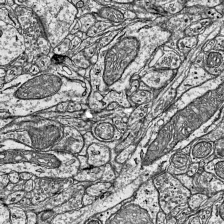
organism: Mouse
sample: Visual Cortex